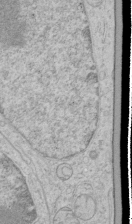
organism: Human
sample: Mitochondria in HCT116 cells